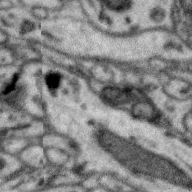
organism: Zebra finch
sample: Brain